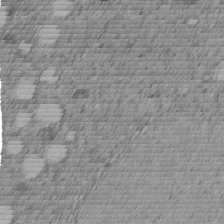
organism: C. elegans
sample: C. elegans embryo early stage